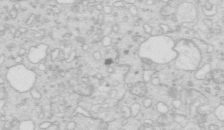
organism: Mouse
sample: Multiciliated cells